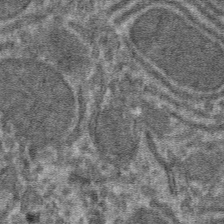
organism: Mouse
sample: Mouse hepatocytes